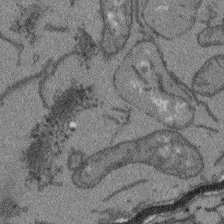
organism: Arabidopsis thaliana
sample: Root tip